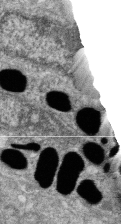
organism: Zebrafish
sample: Cilia; retinal pigment epithelium